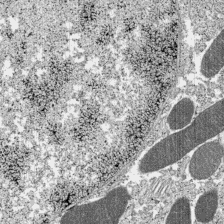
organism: C57BL Mouse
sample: Pancreatic islet